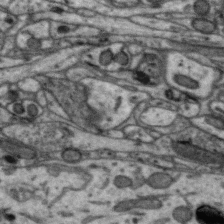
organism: Zebra finch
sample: Brain